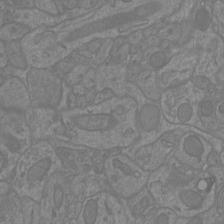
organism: Mouse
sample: Cortical neurons